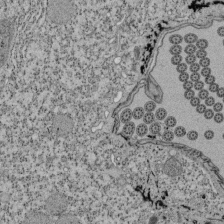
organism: Tetrahymena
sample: Cilia in tetrahymena